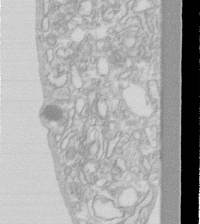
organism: Human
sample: Fibroblast cells